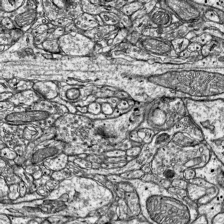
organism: Mouse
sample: Visual Cortex